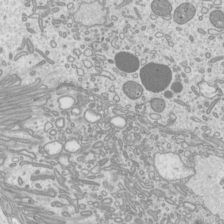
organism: Mouse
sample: Cilia; mouse epididymis